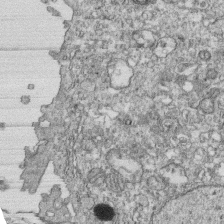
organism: Human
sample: HeLa cell HIV synapse